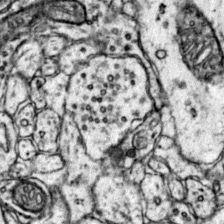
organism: Mouse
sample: Primary visual cortex